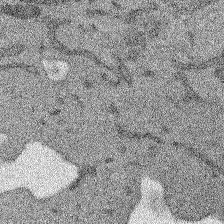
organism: Human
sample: HeLa cells